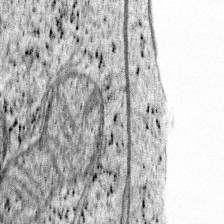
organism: Human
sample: HeLa cells